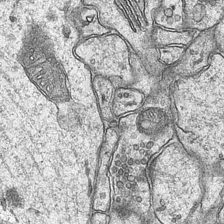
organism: Mouse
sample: CA1 Hippocampus